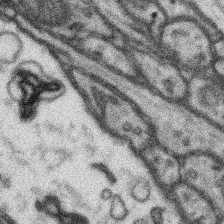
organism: Mouse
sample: Somatosensory cortex neuropil